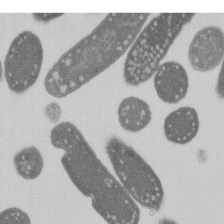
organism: E. coli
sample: Bacterial nucleoid